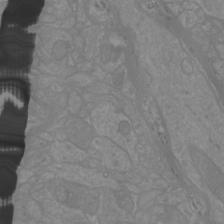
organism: Mouse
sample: Cortical neurons